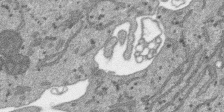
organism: Human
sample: Lung epithelial cells infected with SARS-CoV-2